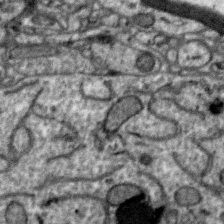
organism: Zebra finch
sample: Brain